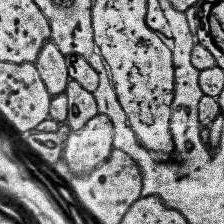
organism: Human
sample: Temporal Lobe